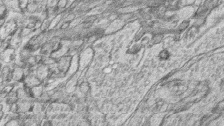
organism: Zebrafish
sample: synaptic ribbons in rod cells and cone cells